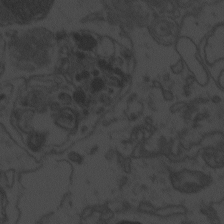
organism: Zebrafish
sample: Macrophage infected with Toxoplasma gondii